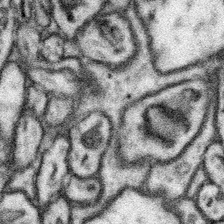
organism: Mouse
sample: Somatosensory cortex neuropil